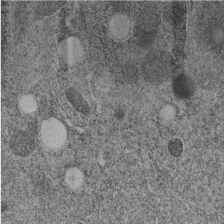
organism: C. elegans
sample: C. elegans embryo early stage